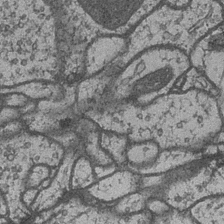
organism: Drosophila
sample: Optic medulla